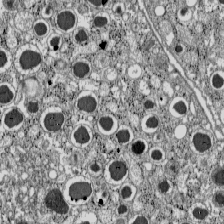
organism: C57BL Mouse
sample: Pancreatic islet